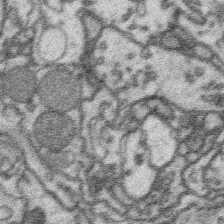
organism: Platynereis dumerilii